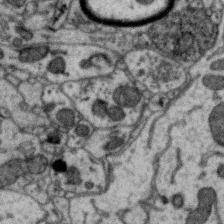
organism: Zebra finch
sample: Brain